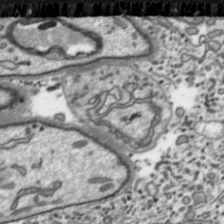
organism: Toxoplasma gondii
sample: Parasites in a vacuole inside a host cell